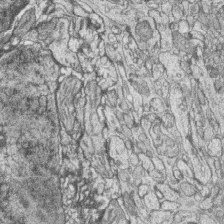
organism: Zebrafish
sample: synaptic ribbons in rod cells and cone cells